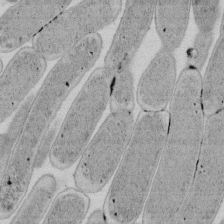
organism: E. coli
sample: Bacterial nucleoid